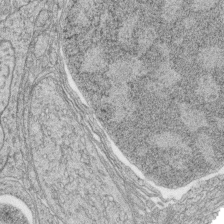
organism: Zebrafish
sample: synaptic ribbons in rod cells and cone cells